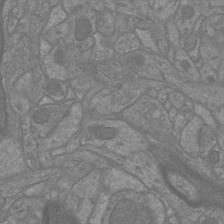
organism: Mouse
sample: Cortical neurons